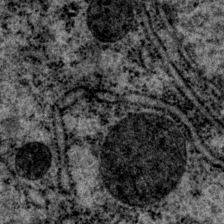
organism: P. pacificus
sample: Pharynx